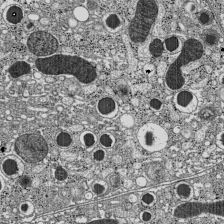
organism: C57BL Mouse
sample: Pancreatic islet